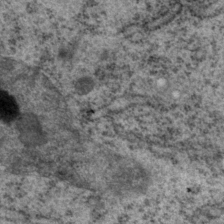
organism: P. pacificus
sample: Pharynx